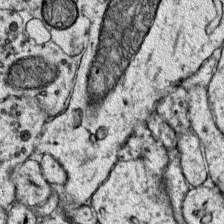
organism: Mouse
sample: Primary visual cortex